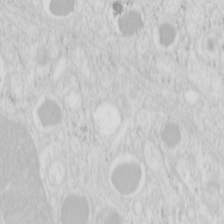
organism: Mouse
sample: Pancreas